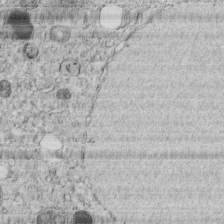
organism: C. elegans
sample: C. elegans embryo early stage